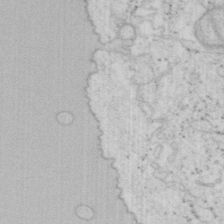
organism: Human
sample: HeLa cells